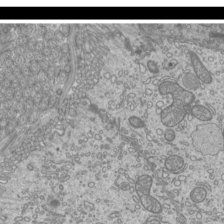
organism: Mouse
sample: Cilia; mouse epididymis